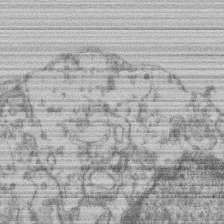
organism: Mouse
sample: T cell stromal cell synapse